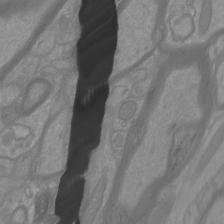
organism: Mouse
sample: Cortical neurons